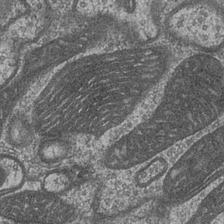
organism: Drosophila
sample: Optic medulla